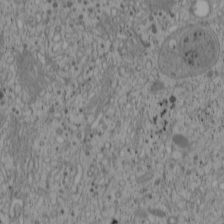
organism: African green monkey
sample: COS-7 cells